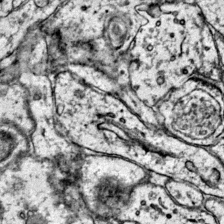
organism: Mouse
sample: Primary visual cortex